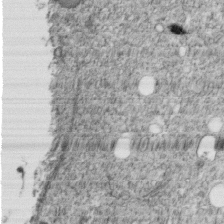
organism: C. elegans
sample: C. elegans embryo early stage